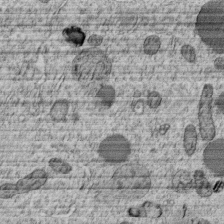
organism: C. elegans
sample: C. elegans embryo early stage